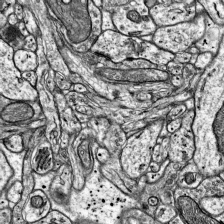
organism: Mouse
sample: Visual Cortex